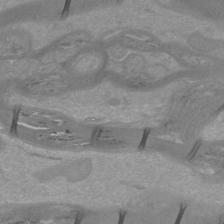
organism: Mouse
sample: Cortical neurons